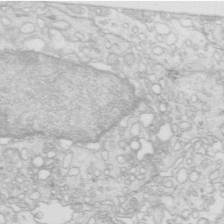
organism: Mouse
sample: Multiciliated cells